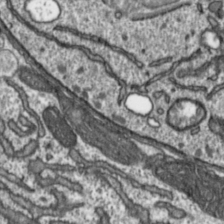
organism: Toxoplasma gondii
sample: Parasites in a vacuole inside a host cell